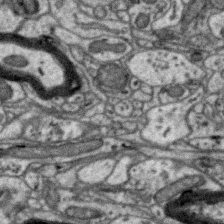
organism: Zebra finch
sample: Brain